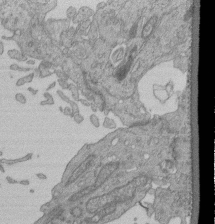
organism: Human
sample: Retinal organoid Rod and Cone cells